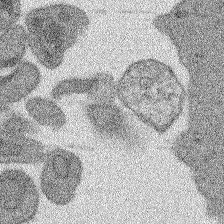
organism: Human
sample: HeLa cells